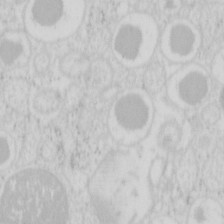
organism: Mouse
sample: Pancreas